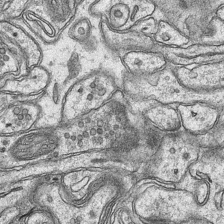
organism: Mouse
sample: CA1 Hippocampus